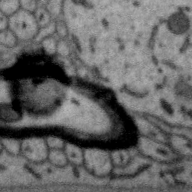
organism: Zebra finch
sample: Brain